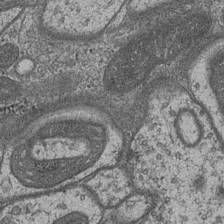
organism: Drosophila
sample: Optic medulla